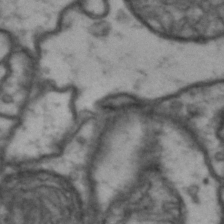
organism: Drosophila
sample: Brain